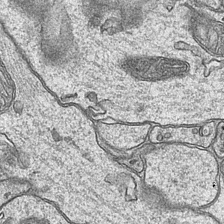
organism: Mouse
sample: CA1 Hippocampus